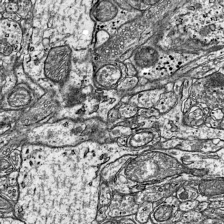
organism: Mouse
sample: Visual Cortex